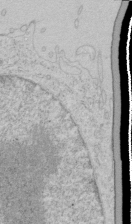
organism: Human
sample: Mitochondria in HCT116 cells